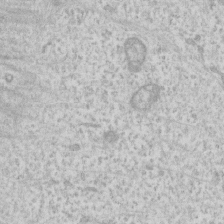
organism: Human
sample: Fibroblast cells